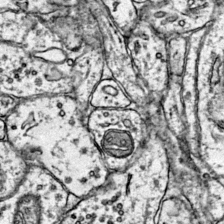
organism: Mouse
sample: Primary visual cortex